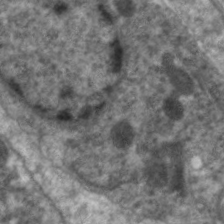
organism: C. elegans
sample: Pharynx